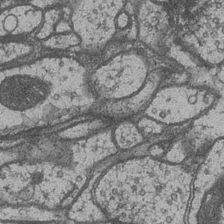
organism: Drosophila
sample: Optic medulla